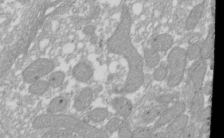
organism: Xenopus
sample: Cilia; centrioles in frog embryo cells